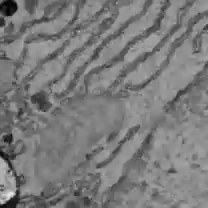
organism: C57BL Mouse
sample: Liver